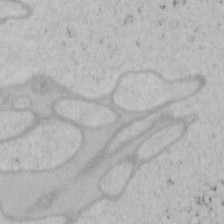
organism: Human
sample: HeLa cells